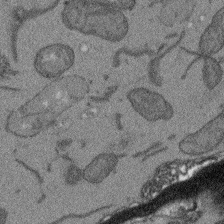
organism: Arabidopsis thaliana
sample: Root tip